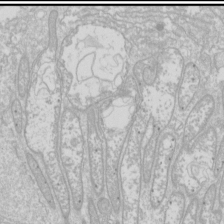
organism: Drosophila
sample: Cell division; meiosis; drosophila spermatocytes